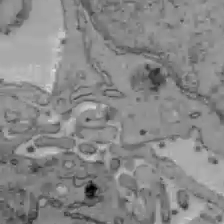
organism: C57BL Mouse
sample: Liver